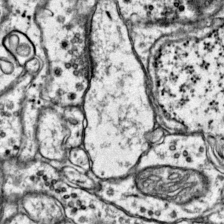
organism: Mouse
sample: Primary visual cortex